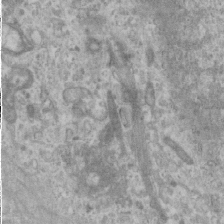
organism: Human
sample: Cilia; basal body in RPE cells